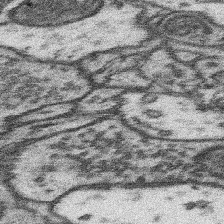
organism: Mouse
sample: Somatosensory cortex neuropil